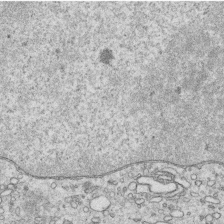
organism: Human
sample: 1205lu cells